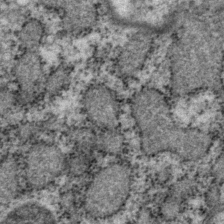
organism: P. pacificus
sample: Pharynx